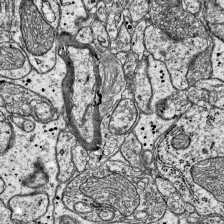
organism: Mouse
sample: Visual Cortex